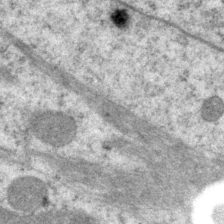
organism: P. pacificus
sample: Pharynx